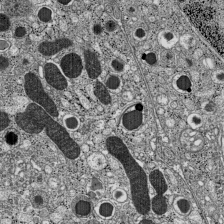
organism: C57BL Mouse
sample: Pancreatic islet